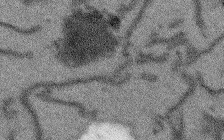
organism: Arabidopsis thaliana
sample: Root tip